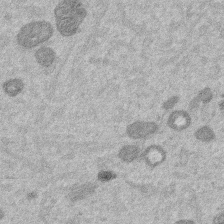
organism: Mouse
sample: Dividing mouse embryo 1 cell stage